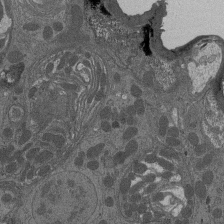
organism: Drosophila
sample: Antenna